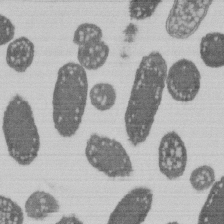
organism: E. coli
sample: Bacterial nucleoid